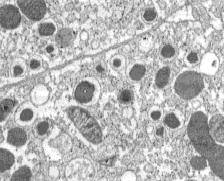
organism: C57BL Mouse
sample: Pancreatic islet